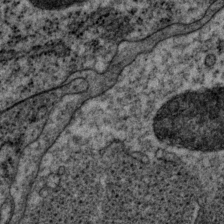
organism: P. pacificus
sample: Pharynx